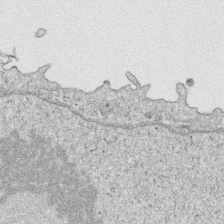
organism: Human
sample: HeLa cell HIV synapse